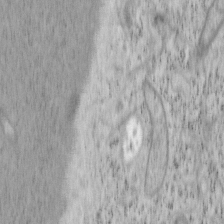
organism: Human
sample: HeLa cells